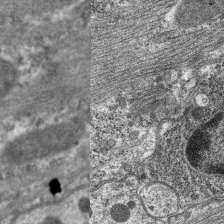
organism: C. elegans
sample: Pharynx